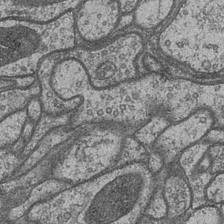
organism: Drosophila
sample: Optic medulla